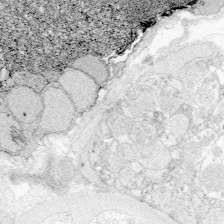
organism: Zebrafish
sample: Whole-Brain